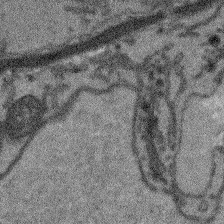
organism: Arabidopsis thaliana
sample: Root tip